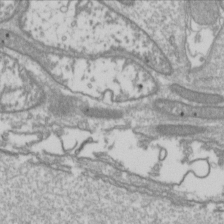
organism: Drosophila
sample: Cell division; meiosis; drosophila spermatocytes